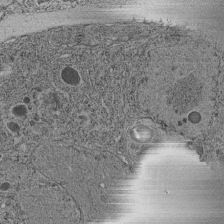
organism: C. elegans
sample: C. elegans pharynx